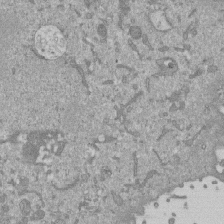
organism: Mouse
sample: ED-1 cell nuclei; centrioles